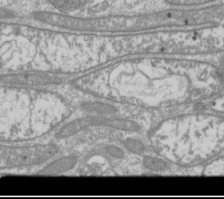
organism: Drosophila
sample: Cell division; meiosis; drosophila spermatocytes